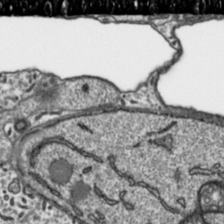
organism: Toxoplasma gondii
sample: Parasites in a vacuole inside a host cell